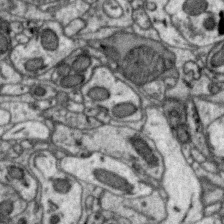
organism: Zebra finch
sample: Brain